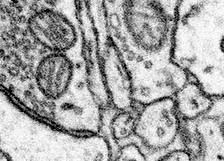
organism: Mouse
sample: Somatosensory cortex neuropil